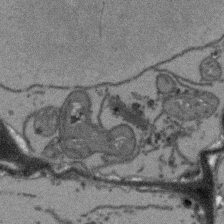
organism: Arabidopsis thaliana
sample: Root tip